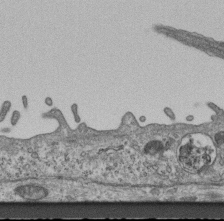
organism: Mouse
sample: Centriole in ependymal cells